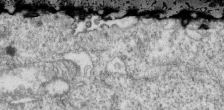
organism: Human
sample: HeLa cell HIV synapse